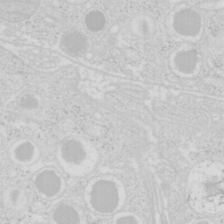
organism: Mouse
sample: Pancreas